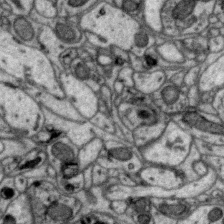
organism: Zebra finch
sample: Brain